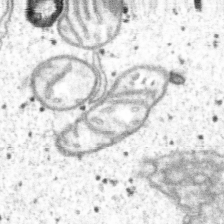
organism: Human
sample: HeLa cells